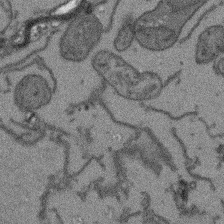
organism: Arabidopsis thaliana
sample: Root tip